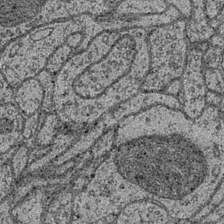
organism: Drosophila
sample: Optic medulla